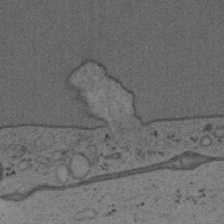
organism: Human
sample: HeLa cells